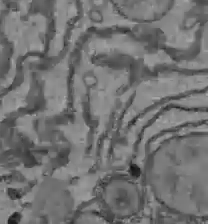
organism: C57BL Mouse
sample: Liver